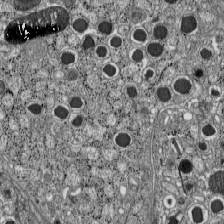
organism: C57BL Mouse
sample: Pancreatic islet